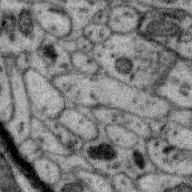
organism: Zebra finch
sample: Brain